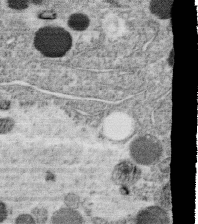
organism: C. elegans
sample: C. elegans oocyte; sperm cells